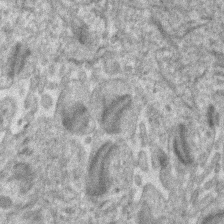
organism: Human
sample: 1205lu cells